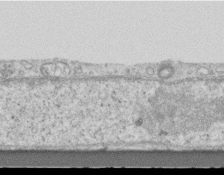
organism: Mouse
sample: Centriole in ependymal cells